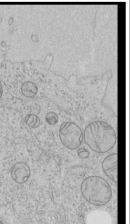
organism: Human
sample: Mitochondria in HCT116 cells